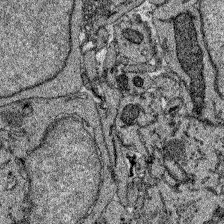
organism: Zebrafish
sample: Larval olfactory bulb